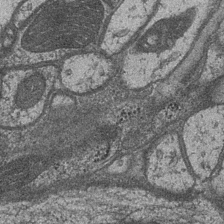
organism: Drosophila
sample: Optic medulla